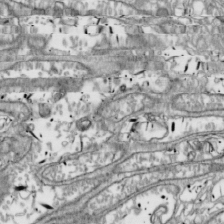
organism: Drosophila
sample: Cell division; meiosis; drosophila spermatocytes